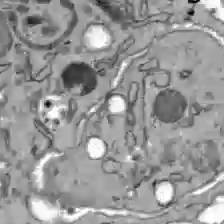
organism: C57BL Mouse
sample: Liver